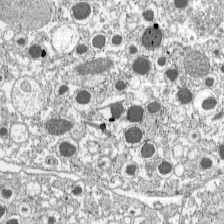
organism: C57BL Mouse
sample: Pancreatic islet